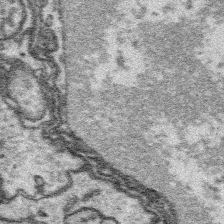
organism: Platynereis dumerilii